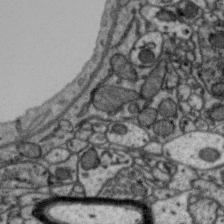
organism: Zebra finch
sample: Brain